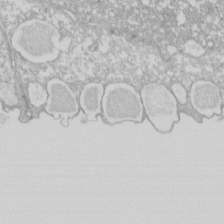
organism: Xenopus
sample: Cilia; centrioles in frog embryo cells